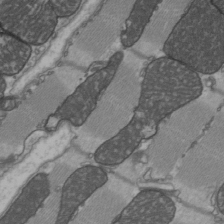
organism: C57BL Mouse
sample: Heart